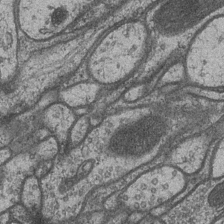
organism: Drosophila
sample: Optic medulla